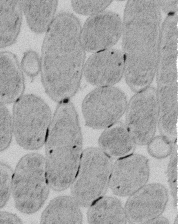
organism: E. coli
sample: Bacterial nucleoid